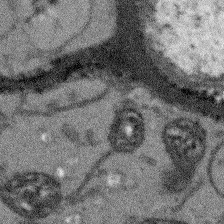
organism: Arabidopsis thaliana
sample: Root tip